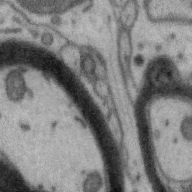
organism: Zebra finch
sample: Brain